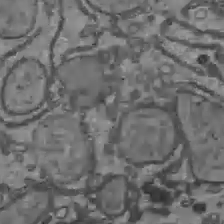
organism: C57BL Mouse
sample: Liver